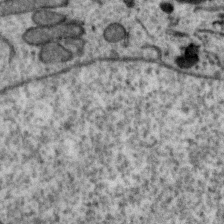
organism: Zebra finch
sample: Brain